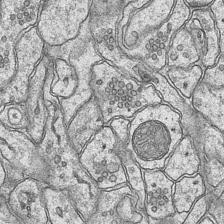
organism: Mouse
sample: CA1 Hippocampus